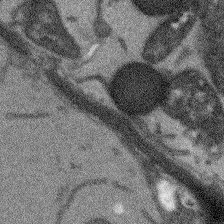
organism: Arabidopsis thaliana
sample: Root tip